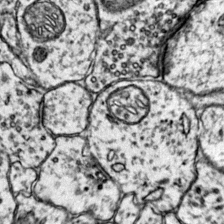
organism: Mouse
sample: Primary visual cortex